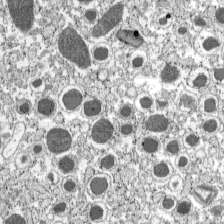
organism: C57BL Mouse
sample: Pancreatic islet